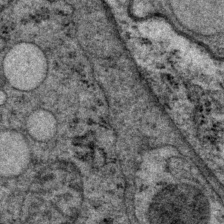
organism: P. pacificus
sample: Pharynx